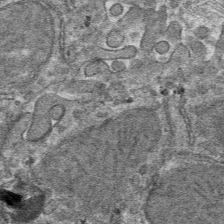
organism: Mouse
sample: Mouse hepatocytes